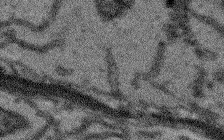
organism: Arabidopsis thaliana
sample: Root tip